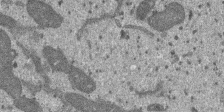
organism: Human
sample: Lung epithelial cells infected with SARS-CoV-2